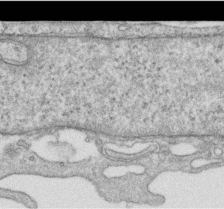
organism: Human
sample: Centriole in RPE cells